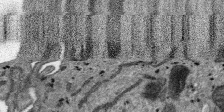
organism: Human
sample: Lung epithelial cells, uninfected (mock) control